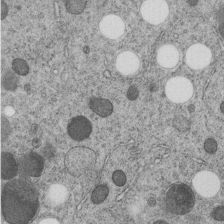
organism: C. elegans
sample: C. elegans embryo early stage